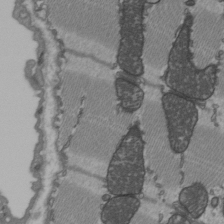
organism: C57BL Mouse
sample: Heart